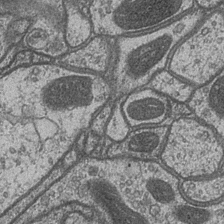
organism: Drosophila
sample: Optic medulla